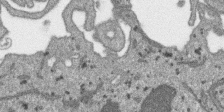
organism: Human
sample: Lung epithelial cells infected with SARS-CoV-2